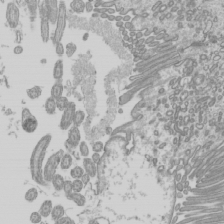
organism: Mouse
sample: Cilia; mouse epididymis